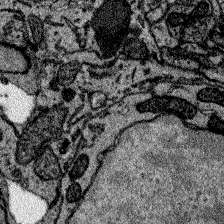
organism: Zebrafish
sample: Larval olfactory bulb